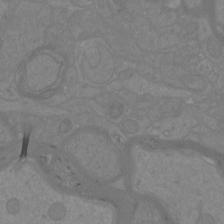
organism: Mouse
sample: Cortical neurons